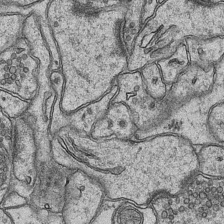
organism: Mouse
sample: CA1 Hippocampus